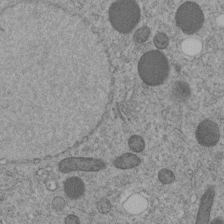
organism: C. elegans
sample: C. elegans embryo early stage